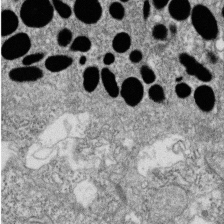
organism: Zebrafish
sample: Cilia; retinal pigment epithelium